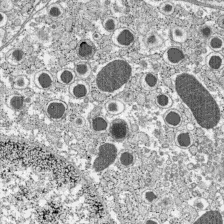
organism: C57BL Mouse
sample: Pancreatic islet